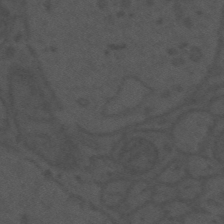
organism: Mouse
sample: Suprachiasmatic nucleus